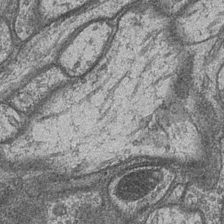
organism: Drosophila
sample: Optic medulla